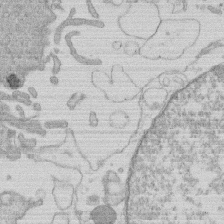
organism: Human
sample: Macrophage cells